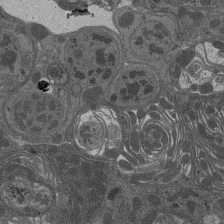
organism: Drosophila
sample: Antenna